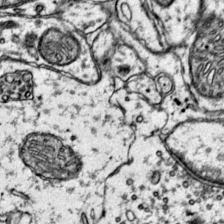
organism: Mouse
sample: Primary visual cortex